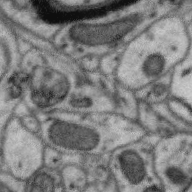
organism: Zebra finch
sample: Brain